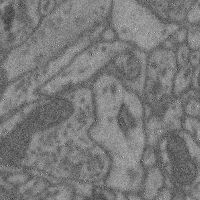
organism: Mouse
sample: Cerebral cortex